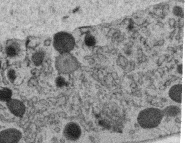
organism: C. elegans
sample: C. elegans oocyte; sperm cells